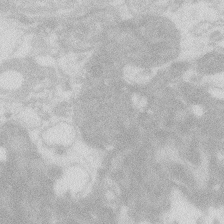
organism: Zebrafish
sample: Macrophage